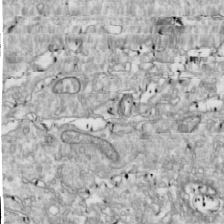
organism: Drosophila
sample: Cell division; meiosis; drosophila spermatocytes